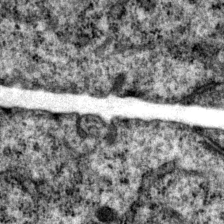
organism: P. pacificus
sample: Pharynx